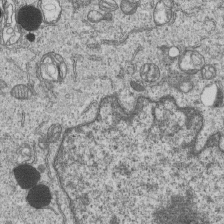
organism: Human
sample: MDA-MB-231 cells